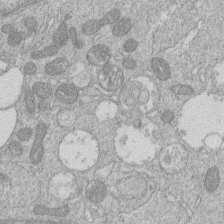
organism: Human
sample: Macrophage cells